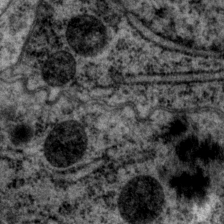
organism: P. pacificus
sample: Pharynx